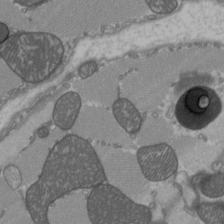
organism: C57BL Mouse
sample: Heart